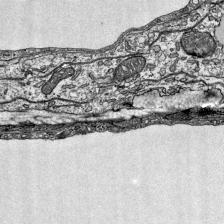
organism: Mouse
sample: Visual Cortex